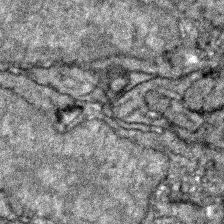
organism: Zebrafish